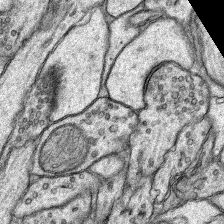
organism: Rat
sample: Hippocampus